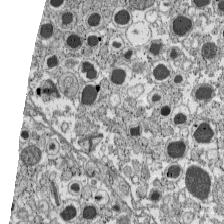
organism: C57BL Mouse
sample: Pancreatic islet